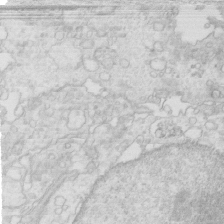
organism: Mouse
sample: Multiciliated cells